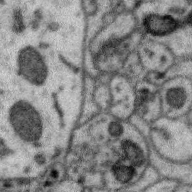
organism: Zebra finch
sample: Brain